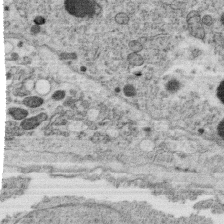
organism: C. elegans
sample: C. elegans oocyte; sperm cells